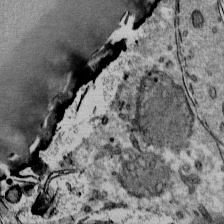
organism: Mouse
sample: Mouse Salivary gland